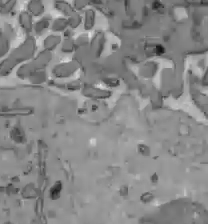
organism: C57BL Mouse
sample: Liver